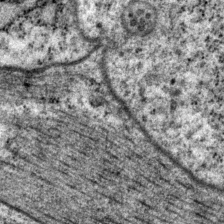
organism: P. pacificus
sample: Pharynx